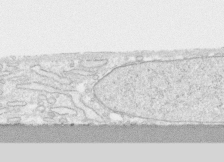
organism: Human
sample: CRL-1474